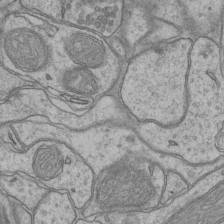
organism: Mouse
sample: CA1 Hippocampus